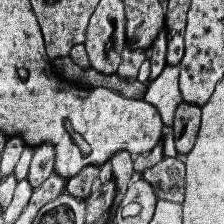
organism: Human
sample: Temporal Lobe